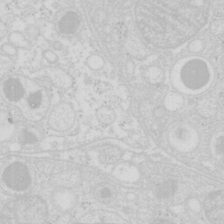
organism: Mouse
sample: Pancreas